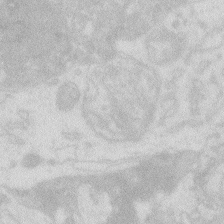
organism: Zebrafish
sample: Macrophage